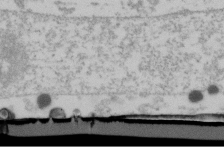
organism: Human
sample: U2-OS cells